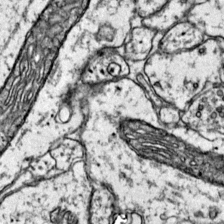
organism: Mouse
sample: Primary visual cortex